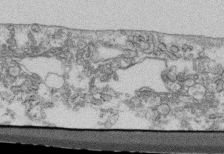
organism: Mouse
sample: Cilia; retinal pigment epithelium